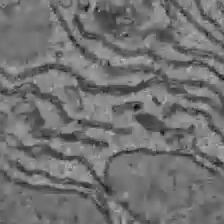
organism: C57BL Mouse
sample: Liver